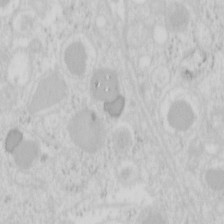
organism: Mouse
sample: Pancreas